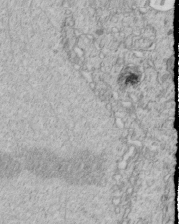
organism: C. elegans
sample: C. elegans embryo early stage